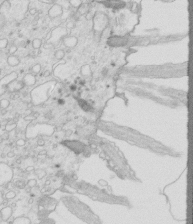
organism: Mouse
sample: Multiciliated cells